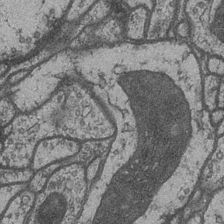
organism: Drosophila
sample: Optic medulla